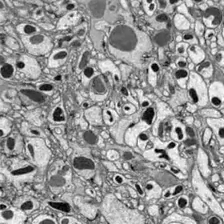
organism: Drosophila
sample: Optic lobe